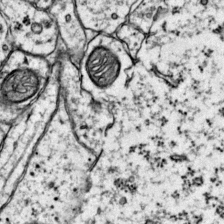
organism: Mouse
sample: Primary visual cortex